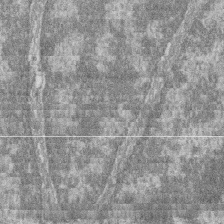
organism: Zebrafish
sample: Cilia; retinal pigment epithelium